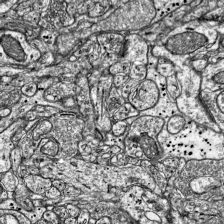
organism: Mouse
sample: Visual Cortex